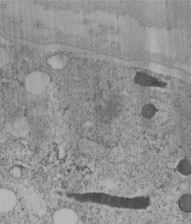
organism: C. elegans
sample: C. elegans embryo early stage